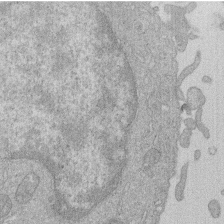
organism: Human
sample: Macrophage cells